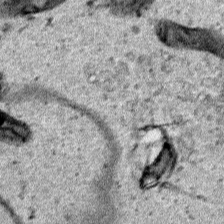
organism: Human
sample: Mitochondria in HCT116 cells